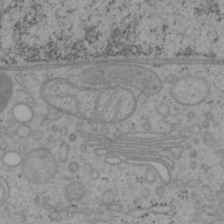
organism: Human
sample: HeLa cells